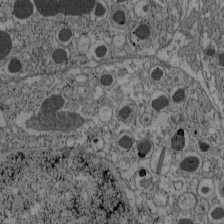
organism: C57BL Mouse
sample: Pancreatic islet